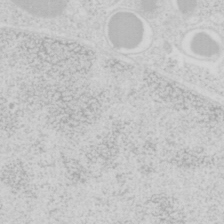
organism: Mouse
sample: Pancreas